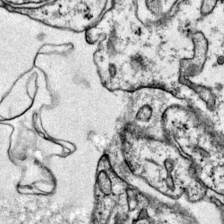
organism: Mouse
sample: Primary visual cortex